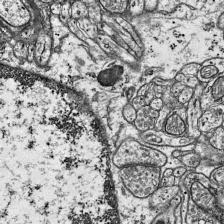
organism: Mouse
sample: Visual Cortex